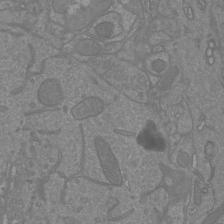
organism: Mouse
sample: Cortical neurons